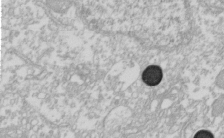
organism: Xenopus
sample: Cilia; centrioles in frog embryo cells